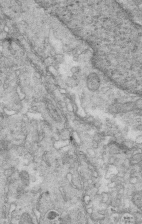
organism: Mouse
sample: Multiciliated cells